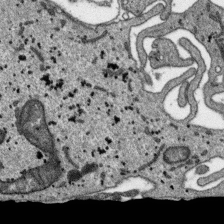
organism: Human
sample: Lung epithelial cells, uninfected (mock) control